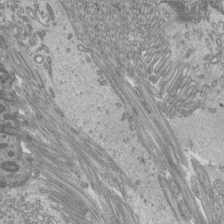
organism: Mouse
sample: Cilia; mouse epididymis